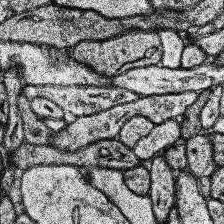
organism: Human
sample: Temporal Lobe